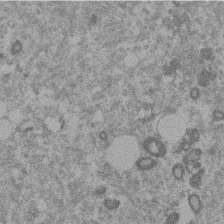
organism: Mouse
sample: Dividing mouse embryo 1 cell stage